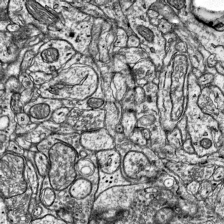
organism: Mouse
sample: Visual Cortex